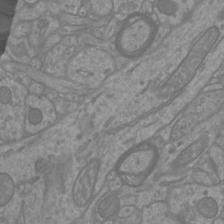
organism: Mouse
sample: Cortical neurons